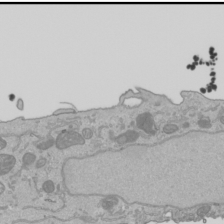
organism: Human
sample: Mitochondria in HCT116 cells